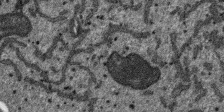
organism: Human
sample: Lung epithelial cells infected with SARS-CoV-2